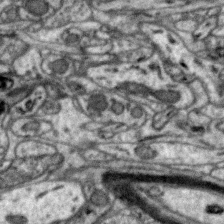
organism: Zebra finch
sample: Brain